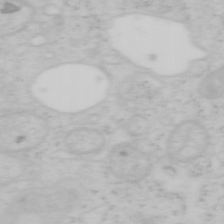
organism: Mouse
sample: OT-I killer T cells with ID8 ovarian cancer cells